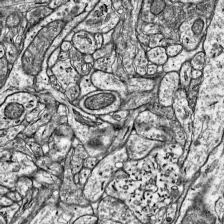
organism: Mouse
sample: Visual Cortex